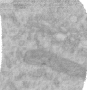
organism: Human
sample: Centriole in RPE cells